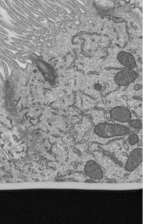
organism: Mouse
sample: Mouse epididymis efferent ductule cilia